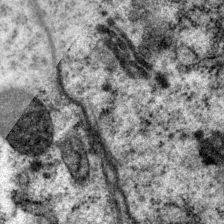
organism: P. pacificus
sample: Pharynx